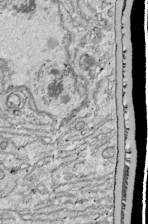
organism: Drosophila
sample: Cell division; meiosis; drosophila spermatocytes